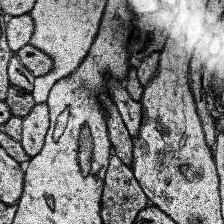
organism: Human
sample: Temporal Lobe